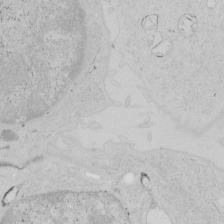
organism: Human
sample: Mitochondria in HCT116 cells